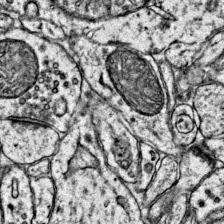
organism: Mouse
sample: Primary visual cortex